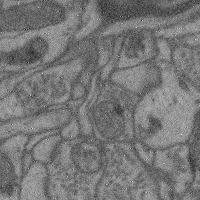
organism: Mouse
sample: Cerebral cortex